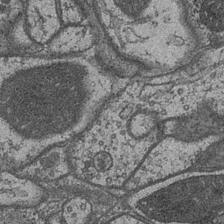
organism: Drosophila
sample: Optic medulla